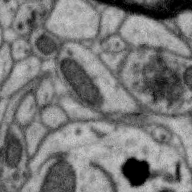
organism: Zebra finch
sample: Brain